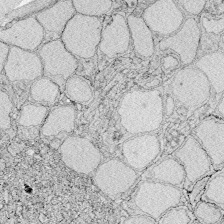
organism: Zebrafish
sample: Whole-Brain